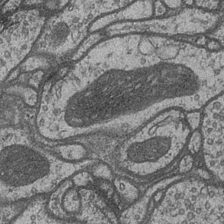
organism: Drosophila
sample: Optic medulla